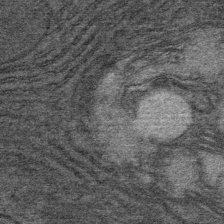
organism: Mouse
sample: Mouse Salivary gland